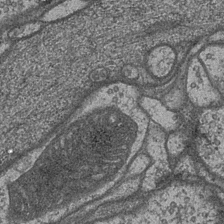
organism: Drosophila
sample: Optic medulla